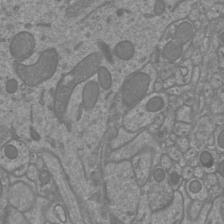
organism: Mouse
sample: Cortical neurons